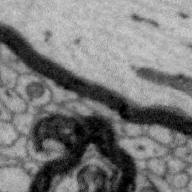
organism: Zebra finch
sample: Brain